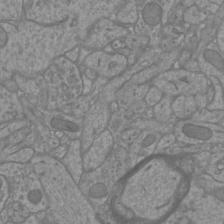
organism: Mouse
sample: Cortical neurons